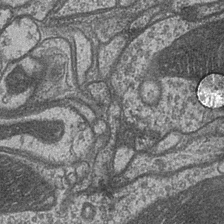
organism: Drosophila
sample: Optic medulla